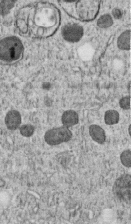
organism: C. elegans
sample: C. elegans embryo early stage